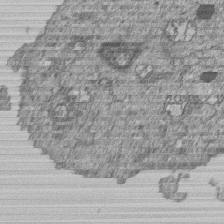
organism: Human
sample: MDA-MB-231 cells